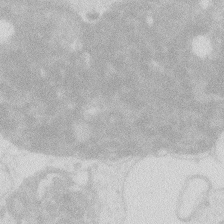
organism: Zebrafish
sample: Macrophage